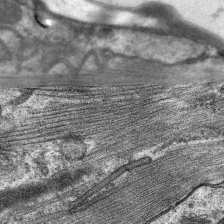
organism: C. elegans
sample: Pharynx